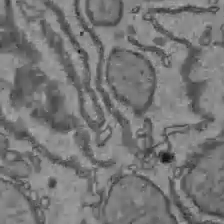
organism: C57BL Mouse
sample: Liver